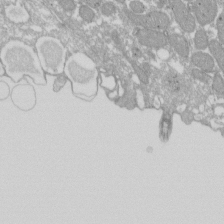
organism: Xenopus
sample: Cilia; centrioles in frog embryo cells